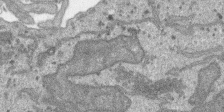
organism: Human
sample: Lung epithelial cells infected with SARS-CoV-2